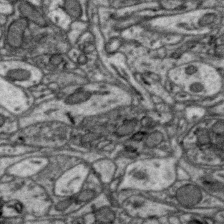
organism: Zebra finch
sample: Brain